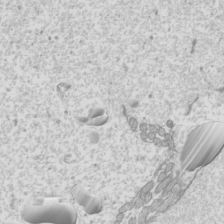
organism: Mouse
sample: Cilia; mouse epididymis